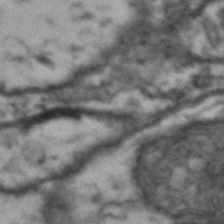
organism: Drosophila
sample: Brain